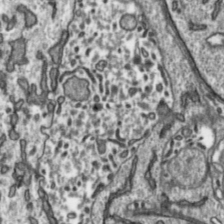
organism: Toxoplasma gondii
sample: Parasites in a vacuole inside a host cell